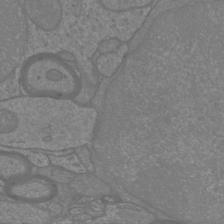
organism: Mouse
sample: Cortical neurons